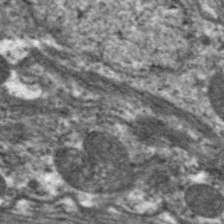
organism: C. elegans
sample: Pharynx